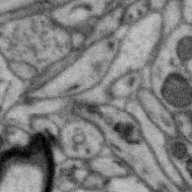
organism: Zebra finch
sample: Brain